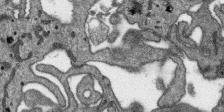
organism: Human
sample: Lung epithelial cells, uninfected (mock) control